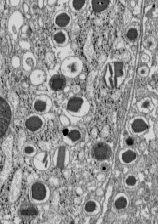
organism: C57BL Mouse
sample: Pancreatic islet